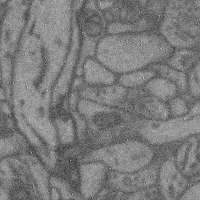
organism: Mouse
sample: Cerebral cortex